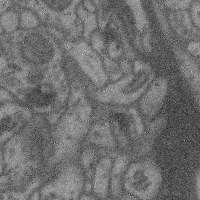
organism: Mouse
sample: Cerebral cortex